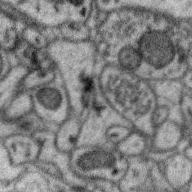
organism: Zebra finch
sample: Brain